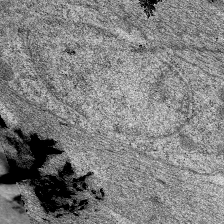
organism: C. elegans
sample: Pharynx